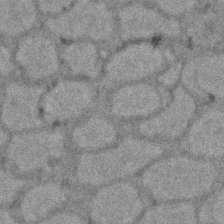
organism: Zebrafish